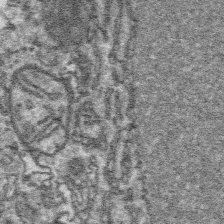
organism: Platynereis dumerilii